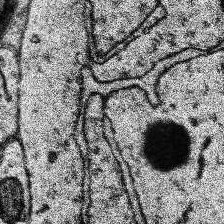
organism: Human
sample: Temporal Lobe